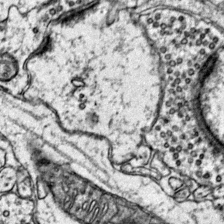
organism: Mouse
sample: Primary visual cortex